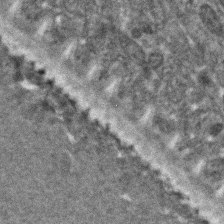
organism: C. elegans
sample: C. elegans embryo